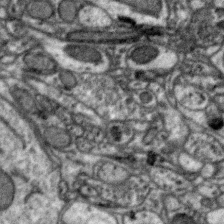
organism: Zebra finch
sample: Brain